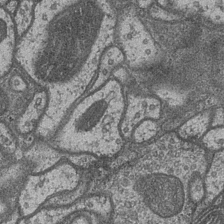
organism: Drosophila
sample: Optic medulla